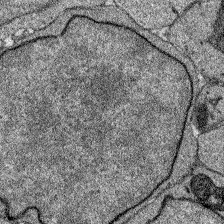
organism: Zebrafish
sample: Larval olfactory bulb